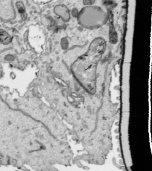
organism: Human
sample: Mitochondria in HCT116 cells